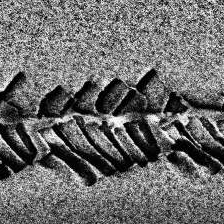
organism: Human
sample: Temporal Lobe